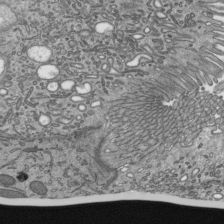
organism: Mouse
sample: Mouse epididymis efferent ductule cilia